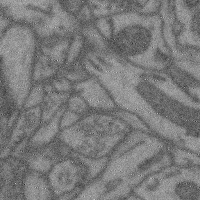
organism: Mouse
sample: Cerebral cortex